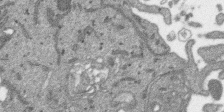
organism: Human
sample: Lung epithelial cells infected with SARS-CoV-2